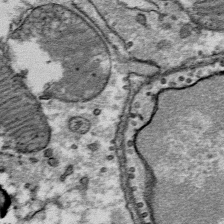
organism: Mouse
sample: Mouse Salivary gland